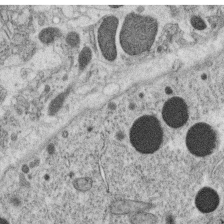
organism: C. elegans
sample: C. elegans oocyte; sperm cells